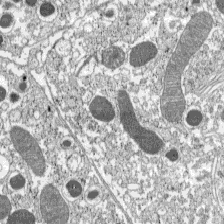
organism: C57BL Mouse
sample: Pancreatic islet